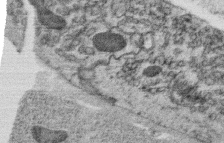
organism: C. elegans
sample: C. elegans oocyte; sperm cells